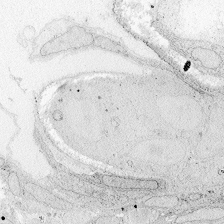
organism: Zebrafish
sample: Whole-Brain